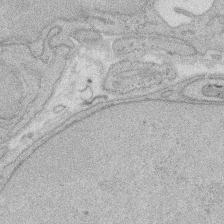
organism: Rat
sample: Salivary granule